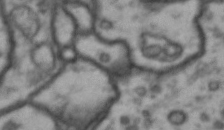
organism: Drosophila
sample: Brain